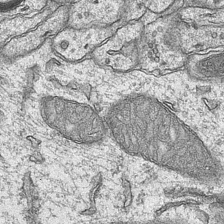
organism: Mouse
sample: CA1 Hippocampus